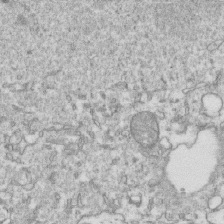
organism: Mouse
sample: Activated OT-1 CD8+ T cells